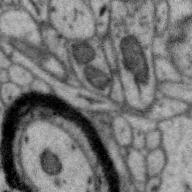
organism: Zebra finch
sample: Brain